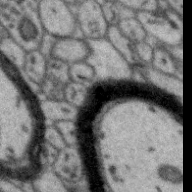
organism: Zebra finch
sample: Brain